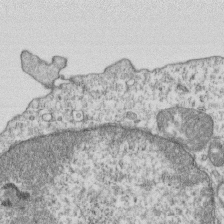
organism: Mouse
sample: Activated OT-1 CD8+ T cells